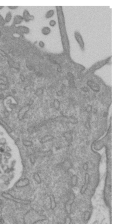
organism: Mouse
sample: ED-1 cell nuclei; centrioles